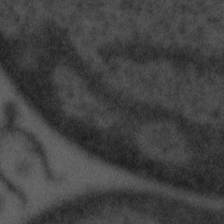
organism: Tuwongella immobilis